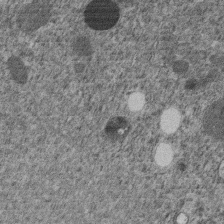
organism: C. elegans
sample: C. elegans embryo early stage